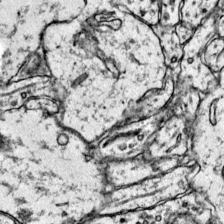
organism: Mouse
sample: Primary visual cortex